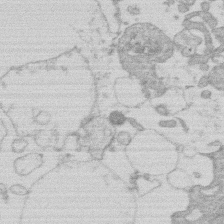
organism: Human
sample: Macrophage cells